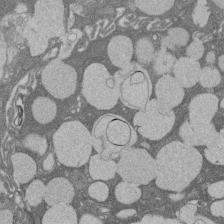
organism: Rat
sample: Salivary granule